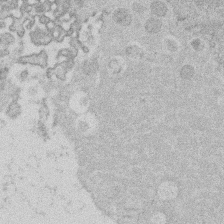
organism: Mouse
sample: Dividing mouse embryo 1 cell stage